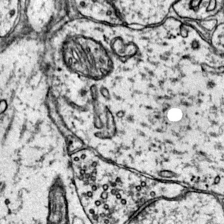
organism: Mouse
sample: Primary visual cortex